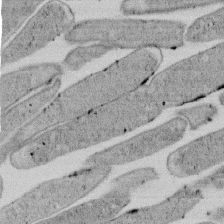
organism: E. coli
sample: Bacterial nucleoid